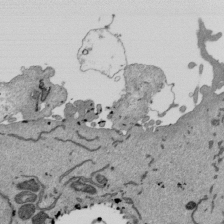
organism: Mouse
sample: ED-1 cell nuclei; centrioles